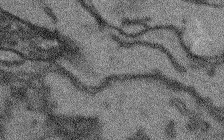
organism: Arabidopsis thaliana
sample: Root tip